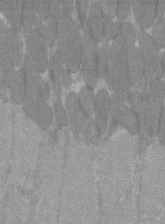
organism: C57BL Mouse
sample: Tibialis anterior muscle cell